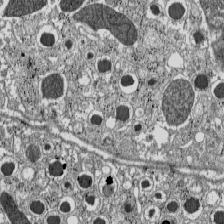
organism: C57BL Mouse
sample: Pancreatic islet